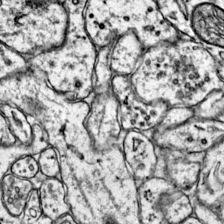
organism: Mouse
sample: Primary visual cortex